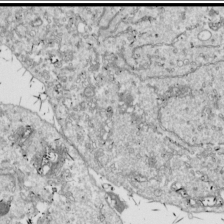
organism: Drosophila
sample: Cell division; meiosis; drosophila spermatocytes